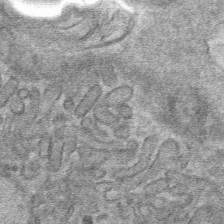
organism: Mouse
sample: Mouse hepatocytes